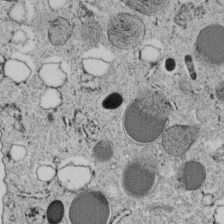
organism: C. elegans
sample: C. elegans embryo early stage